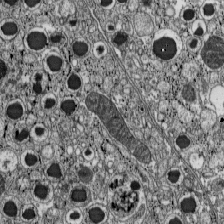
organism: C57BL Mouse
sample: Pancreatic islet